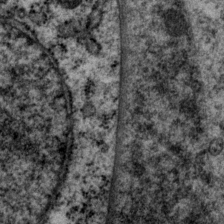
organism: P. pacificus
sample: Pharynx